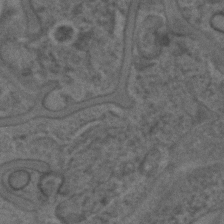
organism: C. elegans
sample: C. elegans embryo